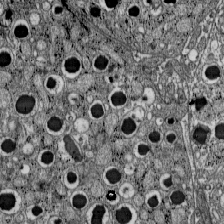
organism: C57BL Mouse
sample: Pancreatic islet